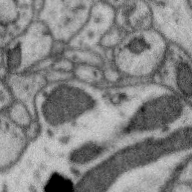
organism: Zebra finch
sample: Brain